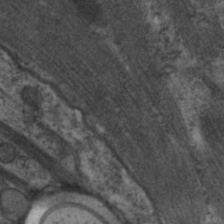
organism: C. elegans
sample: Pharynx